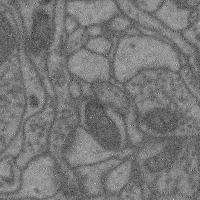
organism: Mouse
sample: Cerebral cortex